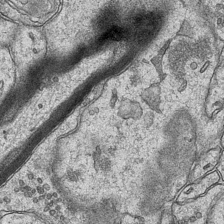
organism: Mouse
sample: CA1 Hippocampus